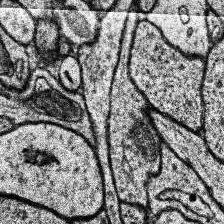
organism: Human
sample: Temporal Lobe